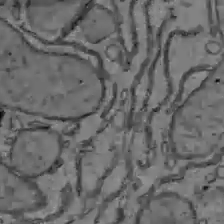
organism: C57BL Mouse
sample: Liver